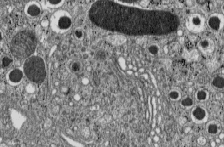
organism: C57BL Mouse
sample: Pancreatic islet